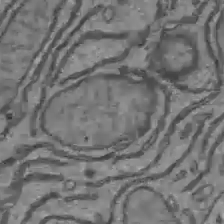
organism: C57BL Mouse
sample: Liver